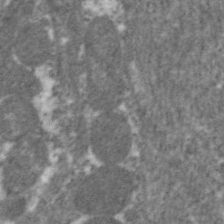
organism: C. elegans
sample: Pharynx